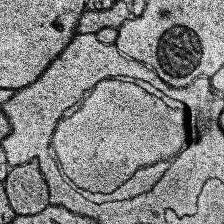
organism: Human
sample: Temporal Lobe